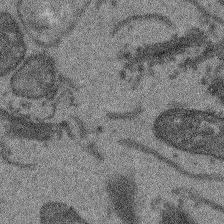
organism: Arabidopsis thaliana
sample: Root tip